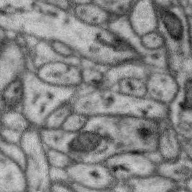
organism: Zebra finch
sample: Brain